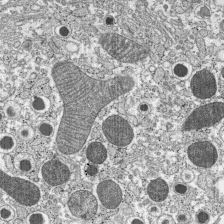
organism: C57BL Mouse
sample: Pancreatic islet